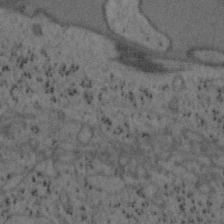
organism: Human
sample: HeLa cells